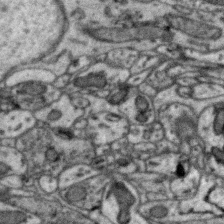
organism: Zebra finch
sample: Brain